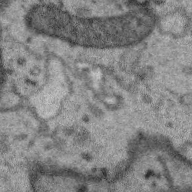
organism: Zebra finch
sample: Brain